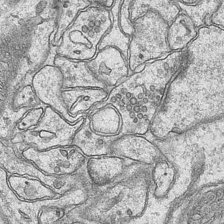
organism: Mouse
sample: CA1 Hippocampus